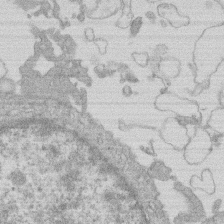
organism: Human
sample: Macrophage cells